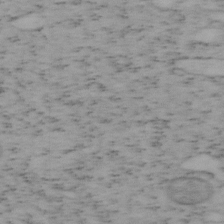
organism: Mouse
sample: OT-I killer T cells with ID8 ovarian cancer cells